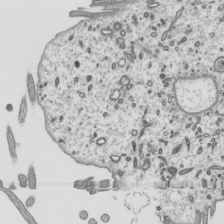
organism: Mouse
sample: Mouse epididymis efferent ductule cilia